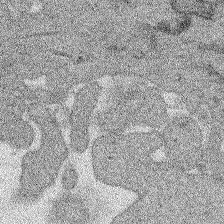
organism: Human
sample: HeLa cells